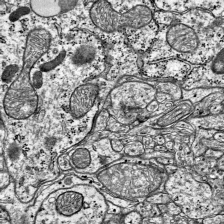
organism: Mouse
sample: Visual Cortex